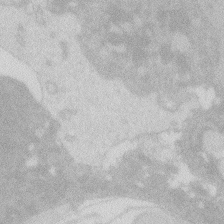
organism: Zebrafish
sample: Macrophage